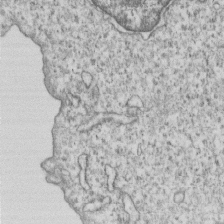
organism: Human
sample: MDA-MB-231 cells